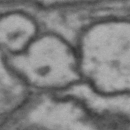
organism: Drosophila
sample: Brain